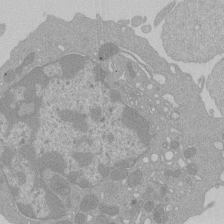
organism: Mouse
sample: Activated Pmel transgenic CD8+ T Cells